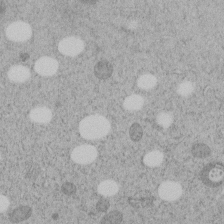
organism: C. elegans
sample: C. elegans embryo early stage